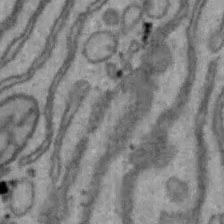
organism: Mouse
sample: Liver